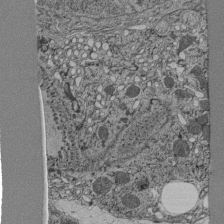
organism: C. elegans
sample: C. elegans pharynx